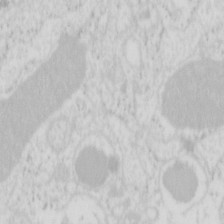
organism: Mouse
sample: Pancreas